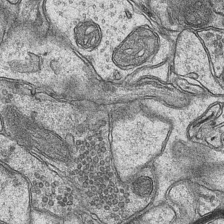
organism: Mouse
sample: CA1 Hippocampus